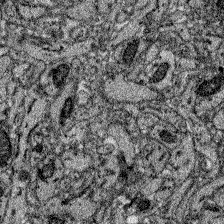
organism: Zebrafish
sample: Larval olfactory bulb